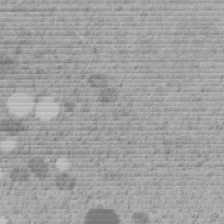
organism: C. elegans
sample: C. elegans embryo early stage